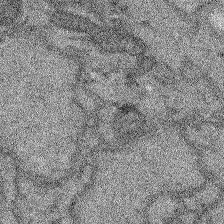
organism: Human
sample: HeLa cells